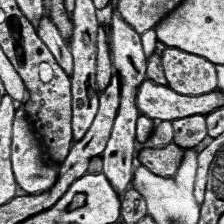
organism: Human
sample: Temporal Lobe